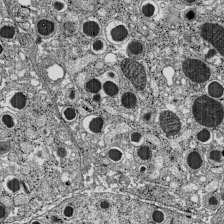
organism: C57BL Mouse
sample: Pancreatic islet